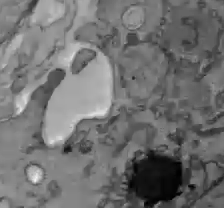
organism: C57BL Mouse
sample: Liver